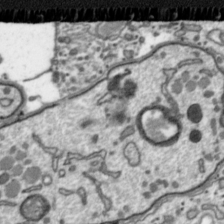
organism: Toxoplasma gondii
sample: Parasites in a vacuole inside a host cell